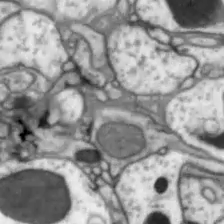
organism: Drosophila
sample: Optic lobe